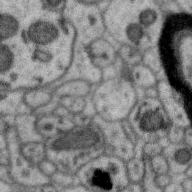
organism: Zebra finch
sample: Brain